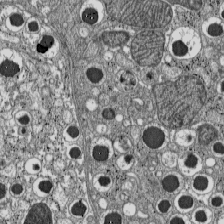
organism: C57BL Mouse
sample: Pancreatic islet